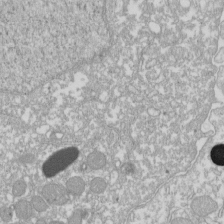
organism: Xenopus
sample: Cilia; centrioles in frog embryo cells